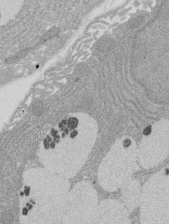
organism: Rat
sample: Salivary granule